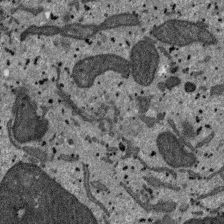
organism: Human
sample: Lung epithelial cells, uninfected (mock) control